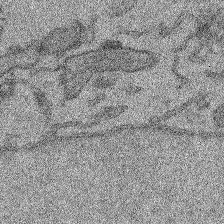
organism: Human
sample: HeLa cells